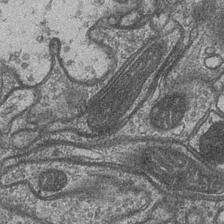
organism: Drosophila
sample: Optic medulla